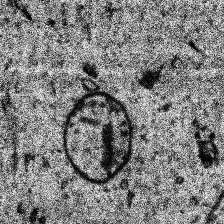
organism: Human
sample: Temporal Lobe